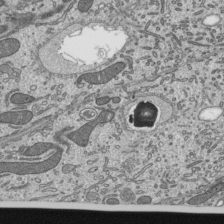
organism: Mouse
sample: Mouse epididymis efferent ductule cilia